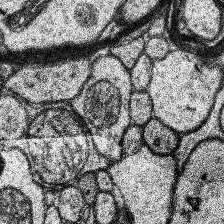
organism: Human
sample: Temporal Lobe